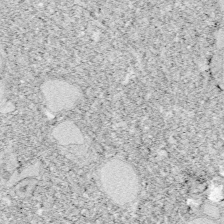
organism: Zebrafish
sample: Whole-Brain